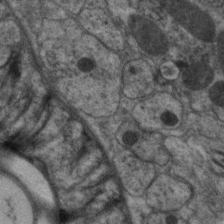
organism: C. elegans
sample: Pharynx